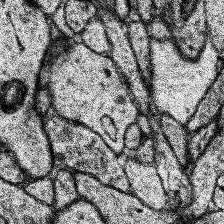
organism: Human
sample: Temporal Lobe